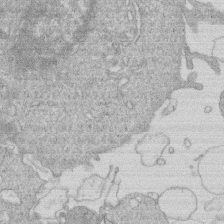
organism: Human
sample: Macrophage cells